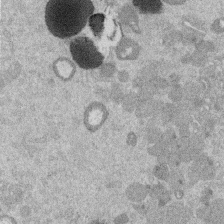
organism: Mouse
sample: Dividing mouse embryo 1 cell stage